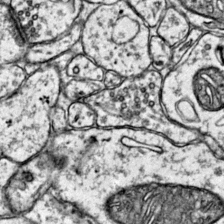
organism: Mouse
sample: Primary visual cortex